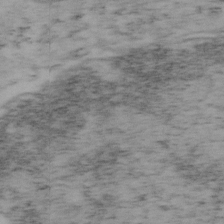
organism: Mouse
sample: OT-I killer T cells with ID8 ovarian cancer cells